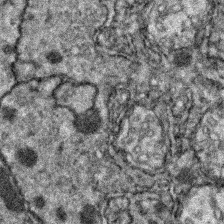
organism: Zebrafish